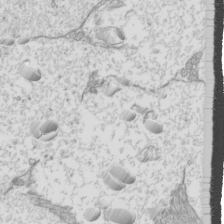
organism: Mouse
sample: Cilia; mouse epididymis